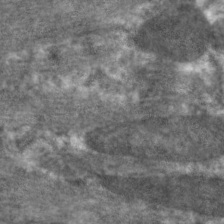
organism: C. elegans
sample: Pharynx